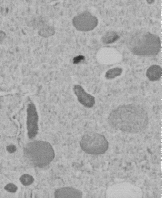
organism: C. elegans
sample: C. elegans embryo early stage